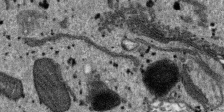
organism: Human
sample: Lung epithelial cells, uninfected (mock) control